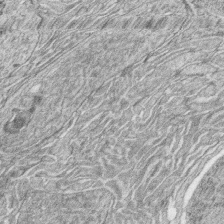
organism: Zebrafish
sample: synaptic ribbons in rod cells and cone cells